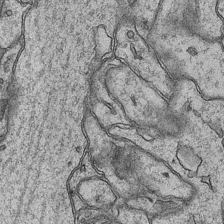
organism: Mouse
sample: CA1 Hippocampus